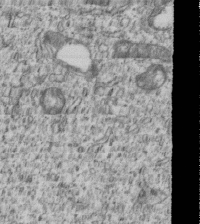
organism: Human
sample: MDA-MB-231 cells